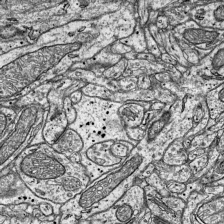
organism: Mouse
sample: Visual Cortex